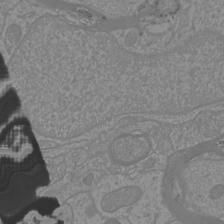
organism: Mouse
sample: Cortical neurons